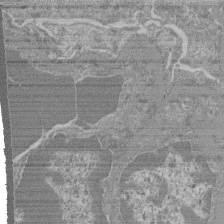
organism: Mouse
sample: Glomerulus